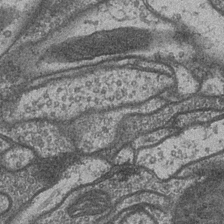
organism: Drosophila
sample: Optic medulla